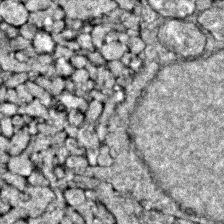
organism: Zebrafish